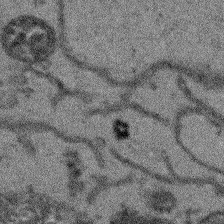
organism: Arabidopsis thaliana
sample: Root tip